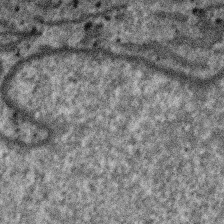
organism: Human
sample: Lung epithelial cells infected with SARS-CoV-2